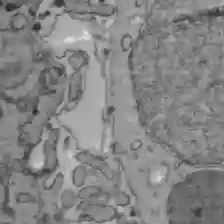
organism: C57BL Mouse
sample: Liver